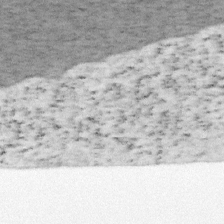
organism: Mouse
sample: OT-I killer T cells with ID8 ovarian cancer cells